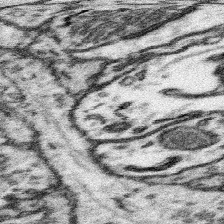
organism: Mouse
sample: Somatosensory cortex neuropil